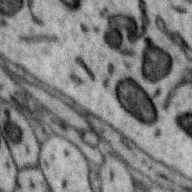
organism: Zebra finch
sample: Brain